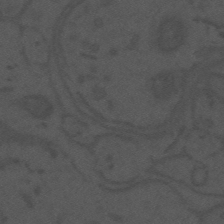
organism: Mouse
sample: Suprachiasmatic nucleus